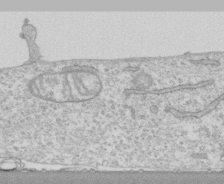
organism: Human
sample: CRL-1474